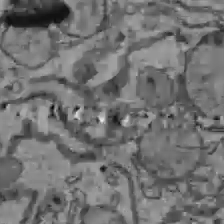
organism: C57BL Mouse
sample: Liver